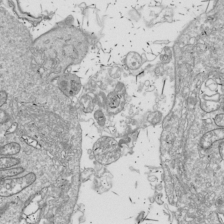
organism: Drosophila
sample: Cell division; meiosis; drosophila spermatocytes